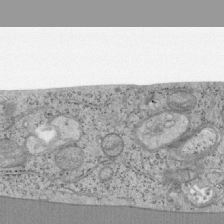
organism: Human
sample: HeLa cells